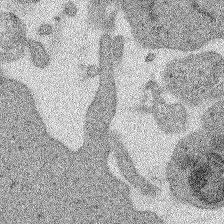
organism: Human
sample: HeLa cells